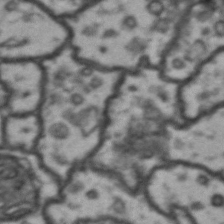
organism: Drosophila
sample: Brain